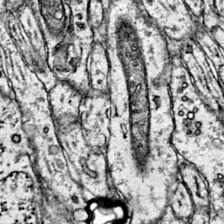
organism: Mouse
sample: Primary visual cortex